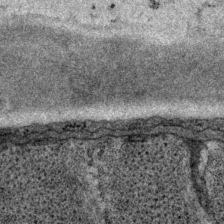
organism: P. pacificus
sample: Pharynx